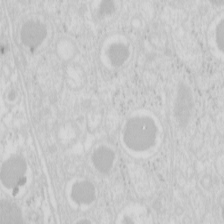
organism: Mouse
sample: Pancreas